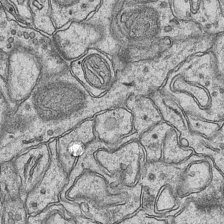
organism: Mouse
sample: CA1 Hippocampus